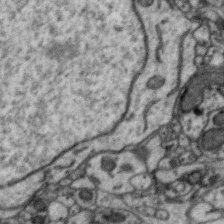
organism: Zebra finch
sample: Brain